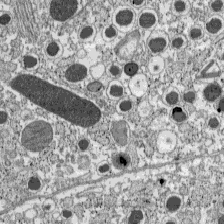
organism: C57BL Mouse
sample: Pancreatic islet